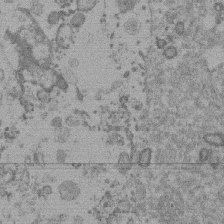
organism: Mouse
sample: Dividing mouse embryo 1 cell stage